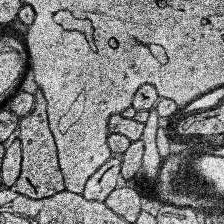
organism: Human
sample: Temporal Lobe